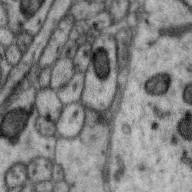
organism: Zebra finch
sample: Brain